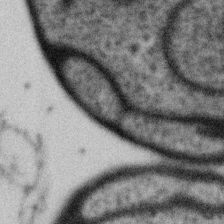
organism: Gemmata obscuriglobus